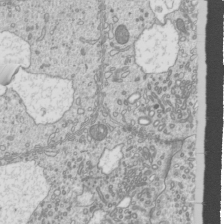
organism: Mouse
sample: Cilia; mouse epididymis